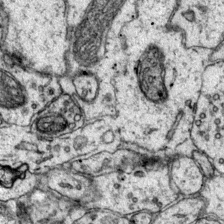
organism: Mouse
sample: Primary visual cortex